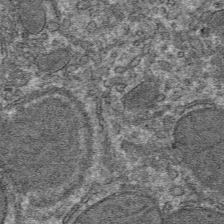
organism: Mouse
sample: Mouse hepatocytes